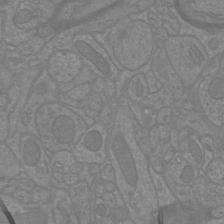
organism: Mouse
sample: Cortical neurons